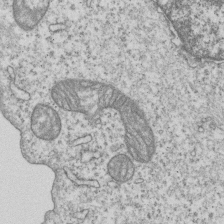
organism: Human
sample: MDA-MB-231 cells